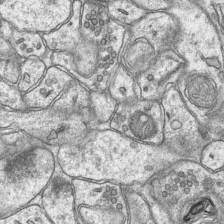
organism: Mouse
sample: CA1 Hippocampus